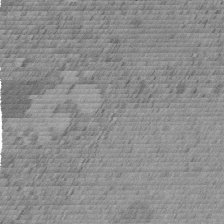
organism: C. elegans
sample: C. elegans embryo early stage